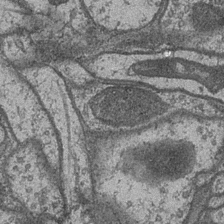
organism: Drosophila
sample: Optic medulla